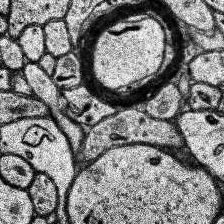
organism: Human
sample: Temporal Lobe